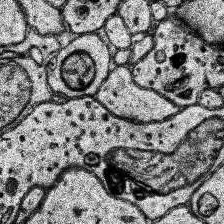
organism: Human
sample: Temporal Lobe